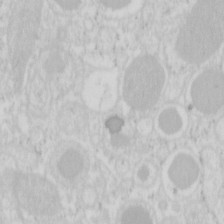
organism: Mouse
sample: Pancreas